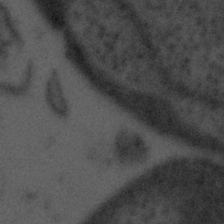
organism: Tuwongella immobilis